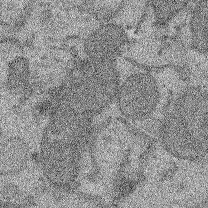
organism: Human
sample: HeLa cells